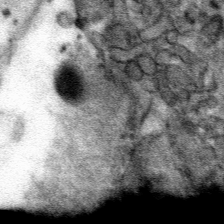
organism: Mouse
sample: Mouse hepatocytes